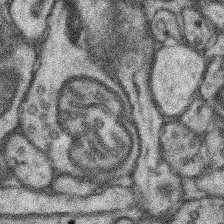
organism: Mouse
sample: Somatosensory cortex neuropil